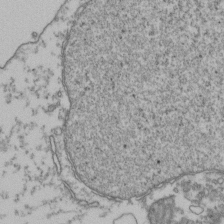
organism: Human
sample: Activated Jurkat CD4+ T cells